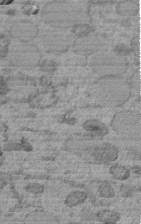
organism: C. elegans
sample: C. elegans embryo early stage